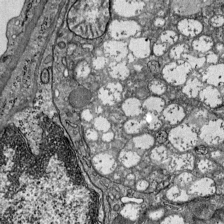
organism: Mouse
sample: Visual Cortex